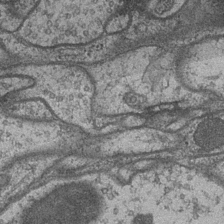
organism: Drosophila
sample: Optic medulla